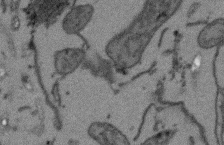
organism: Arabidopsis thaliana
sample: Root tip